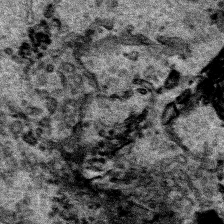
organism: Human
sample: Mitochondria in HCT116 cells